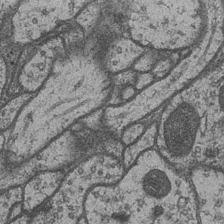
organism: Drosophila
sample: Optic medulla